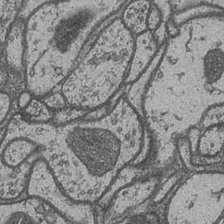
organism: Drosophila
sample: Optic medulla